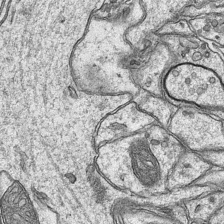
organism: Mouse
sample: CA1 Hippocampus